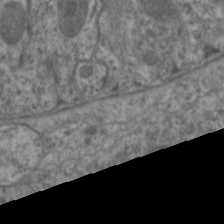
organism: C. elegans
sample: Pharynx